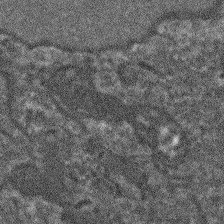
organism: Arabidopsis thaliana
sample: Root tip